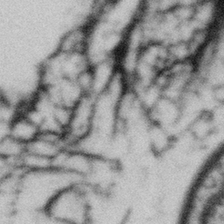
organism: Gemmata obscuriglobus